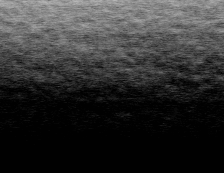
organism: Human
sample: HeLa cells